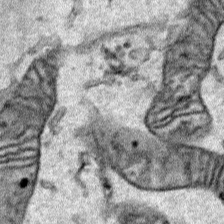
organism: Human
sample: Mitochondria in HCT116 cells